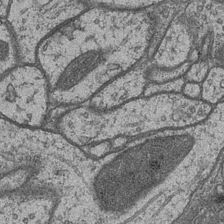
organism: Drosophila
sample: Optic medulla